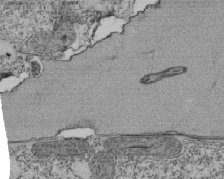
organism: Tetrahymena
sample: Cilia in tetrahymena